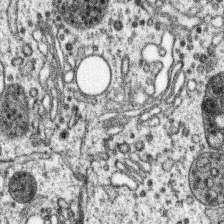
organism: Human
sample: HeLa cells